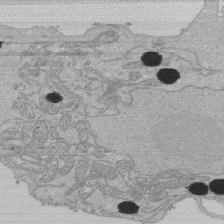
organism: Human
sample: Activated Jurkat CD4+ T cells